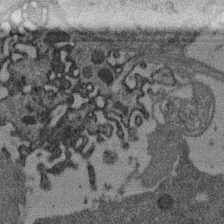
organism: Mouse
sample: Dividing mouse embryo 1 cell stage